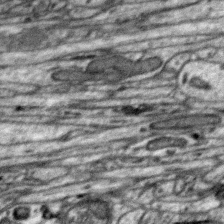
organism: Zebra finch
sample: Brain